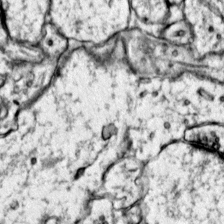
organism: Mouse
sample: Primary visual cortex